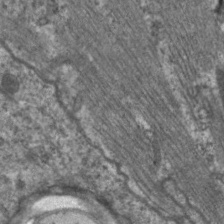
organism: C. elegans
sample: Pharynx